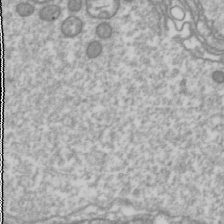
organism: Drosophila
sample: Cell division; meiosis; drosophila spermatocytes